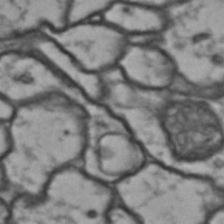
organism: Drosophila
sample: Brain